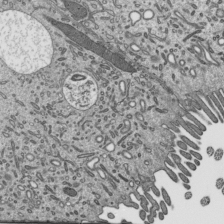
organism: Mouse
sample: Mouse epididymis efferent ductule cilia